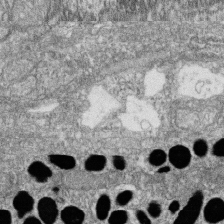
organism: Zebrafish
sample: Cilia; retinal pigment epithelium